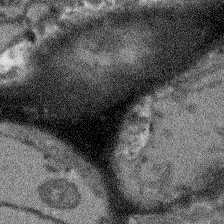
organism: Arabidopsis thaliana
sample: Root tip